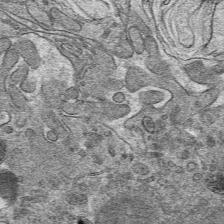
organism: Mouse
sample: Mouse hepatocytes